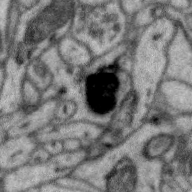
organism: Zebra finch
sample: Brain